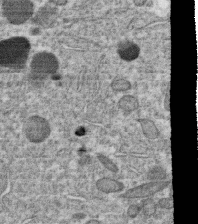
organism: C. elegans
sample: C. elegans oocyte; sperm cells